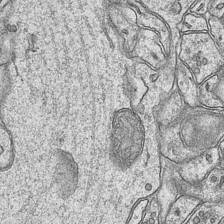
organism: Mouse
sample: CA1 Hippocampus